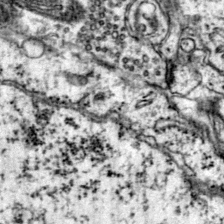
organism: Mouse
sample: Primary visual cortex